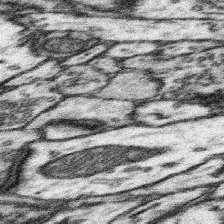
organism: Mouse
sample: Somatosensory cortex neuropil